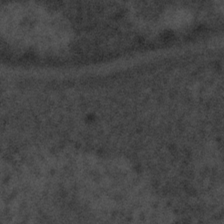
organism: Tuwongella immobilis